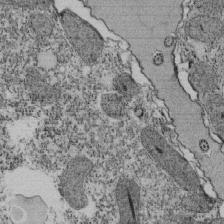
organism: Tetrahymena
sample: Cilia in tetrahymena